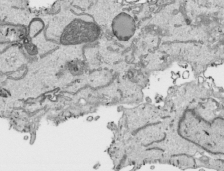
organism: Human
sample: Mitochondria in HCT116 cells